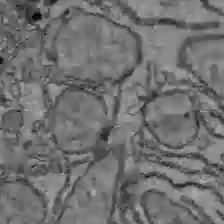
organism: C57BL Mouse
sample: Liver